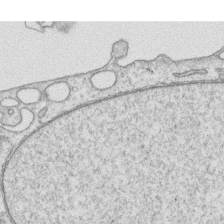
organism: Human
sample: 1205lu cells